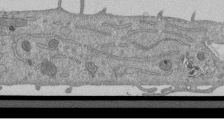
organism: Mouse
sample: ED-1 cell nuclei; centrioles